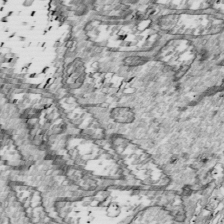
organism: Drosophila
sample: Cell division; meiosis; drosophila spermatocytes